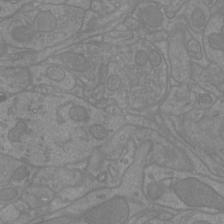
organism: Mouse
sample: Cortical neurons